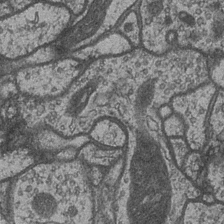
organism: Drosophila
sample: Optic medulla